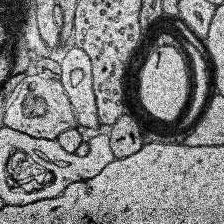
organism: Human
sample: Temporal Lobe